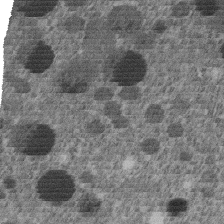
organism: C. elegans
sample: C. elegans embryo early stage